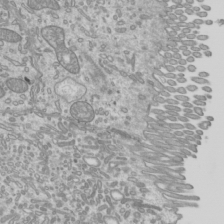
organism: Mouse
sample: Cilia; mouse epididymis